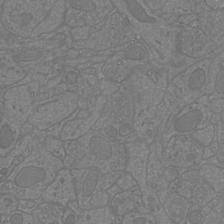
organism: Mouse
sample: Cortical neurons